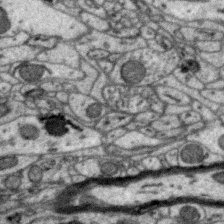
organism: Zebra finch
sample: Brain